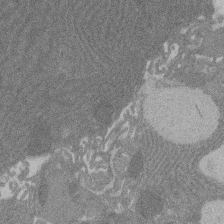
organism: Rat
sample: Salivary granule